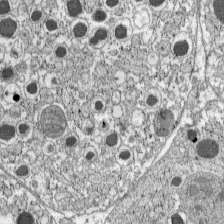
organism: C57BL Mouse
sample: Pancreatic islet